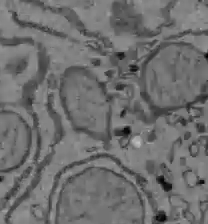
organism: C57BL Mouse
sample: Liver